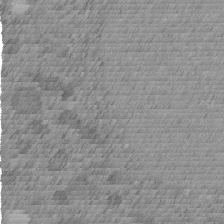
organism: C. elegans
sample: C. elegans embryo early stage